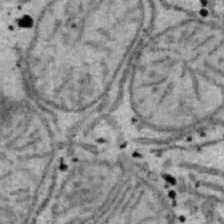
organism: Mouse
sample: Liver from an obese (ob/ob) mouse